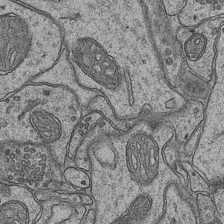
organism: Mouse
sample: CA1 Hippocampus